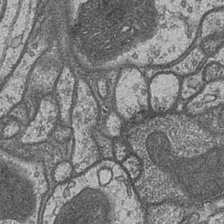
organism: Drosophila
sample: Optic medulla